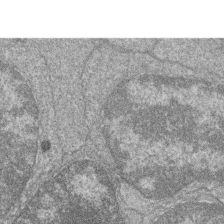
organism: Zebrafish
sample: Cilia; retinal pigment epithelium